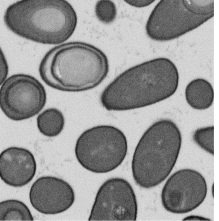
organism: B. subtilis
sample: Bacterial spore